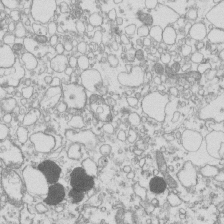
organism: Mouse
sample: Macrophages